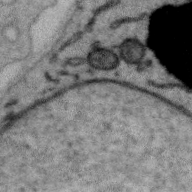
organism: Zebra finch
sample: Brain